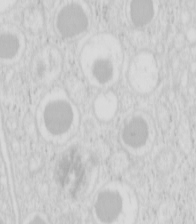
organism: Mouse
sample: Pancreas